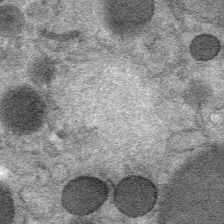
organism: Mouse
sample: Mouse Salivary gland